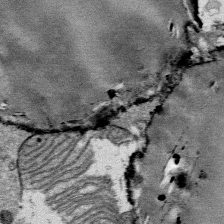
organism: Mouse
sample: Mouse Salivary gland